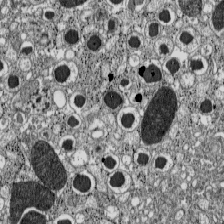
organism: C57BL Mouse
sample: Pancreatic islet